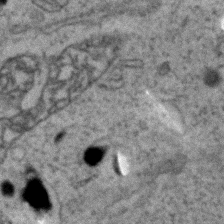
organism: Zebrafish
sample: Zebrafish embryo